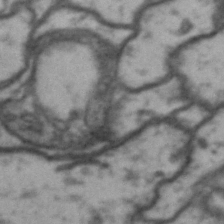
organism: Drosophila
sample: Brain